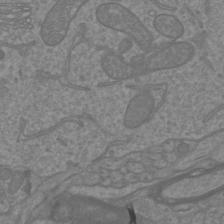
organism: Mouse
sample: Cortical neurons